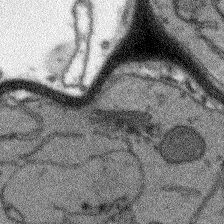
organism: Arabidopsis thaliana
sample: Root tip